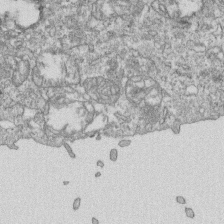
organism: Human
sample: HeLa cell HIV synapse